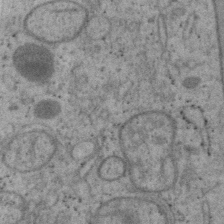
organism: Human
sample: HeLa cells